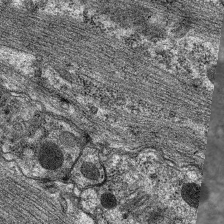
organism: C. elegans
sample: Pharynx